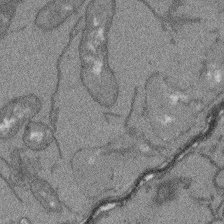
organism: Arabidopsis thaliana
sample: Root tip